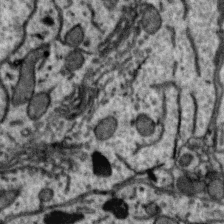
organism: Zebra finch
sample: Brain